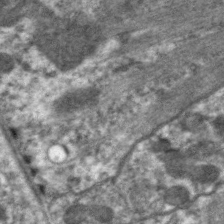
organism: C. elegans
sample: Pharynx